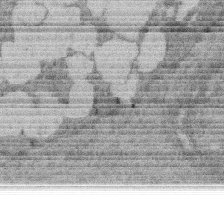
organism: Rat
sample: Salivary granule